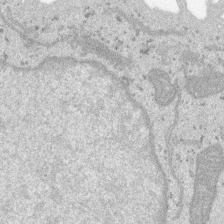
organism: Human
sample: Lung epithelial cells infected with SARS-CoV-2